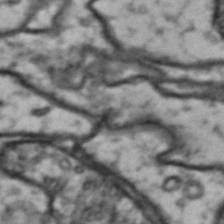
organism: Drosophila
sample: Brain